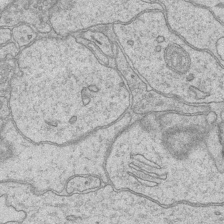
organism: Mouse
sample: CA1 Hippocampus